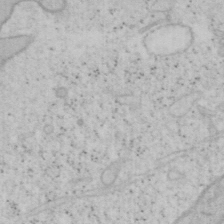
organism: Human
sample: HeLa cells